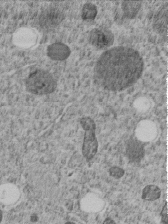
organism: C. elegans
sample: C. elegans embryo early stage